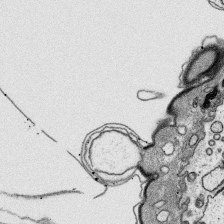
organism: Platynereis dumerilii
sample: Parapodia